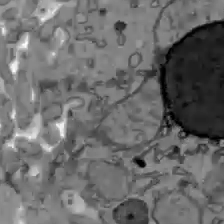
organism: C57BL Mouse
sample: Liver